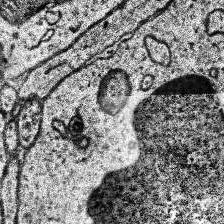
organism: Human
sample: Temporal Lobe